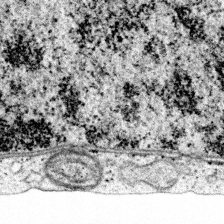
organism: Human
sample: HeLa cells